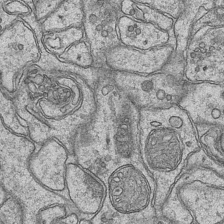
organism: Mouse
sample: CA1 Hippocampus